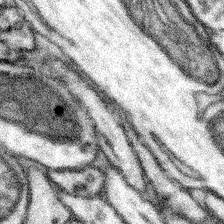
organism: Mouse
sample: Somatosensory cortex neuropil